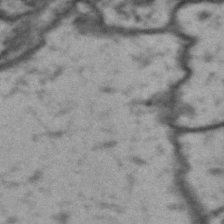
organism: Drosophila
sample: Brain